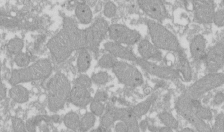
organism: Xenopus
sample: Cilia; centrioles in frog embryo cells